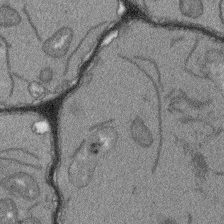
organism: Arabidopsis thaliana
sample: Root tip